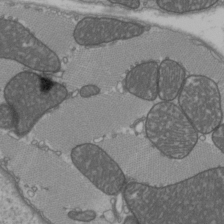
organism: C57BL Mouse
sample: Heart